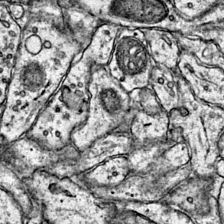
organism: Mouse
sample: Primary visual cortex